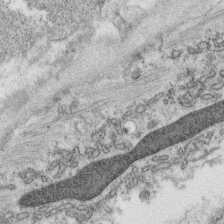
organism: C. elegans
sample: C. elegans oocyte; sperm cells